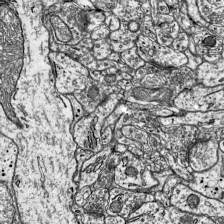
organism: Mouse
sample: Visual Cortex